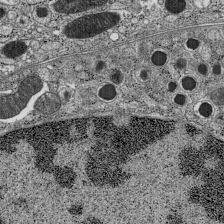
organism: C57BL Mouse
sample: Pancreatic islet